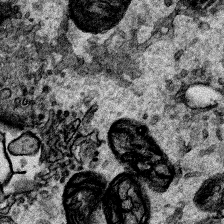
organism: Human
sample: Mitochondria in HCT116 cells